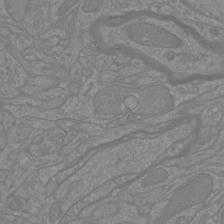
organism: Mouse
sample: Cortical neurons